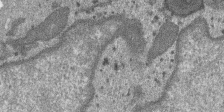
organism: Human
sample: Lung epithelial cells infected with SARS-CoV-2